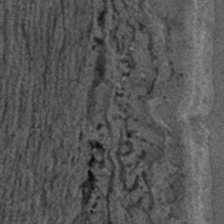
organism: C. elegans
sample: C. elegans embryo